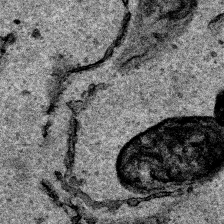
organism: Human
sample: Mitochondria in HCT116 cells